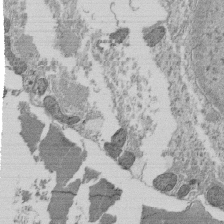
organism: Tetrahymena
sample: Cilia in tetrahymena